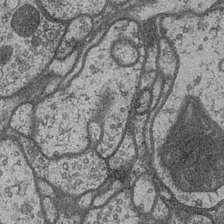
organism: Drosophila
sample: Optic medulla